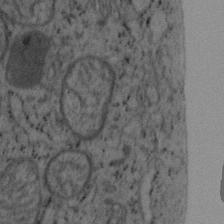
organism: Human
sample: HeLa cells